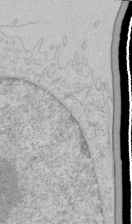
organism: Human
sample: Mitochondria in HCT116 cells